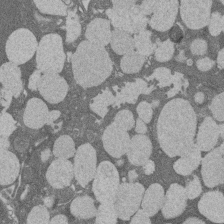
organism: Rat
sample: Salivary granule